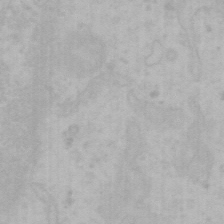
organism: Mouse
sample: Choroid plexus